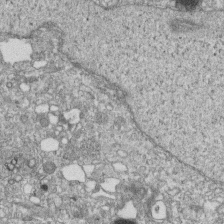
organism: Human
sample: HeLa cell HIV synapse